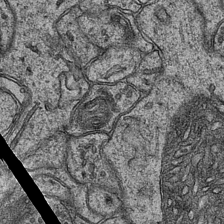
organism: Mouse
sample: CA1 Hippocampus